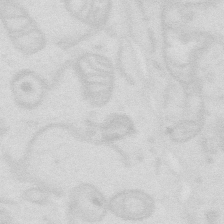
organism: Human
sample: HeLa cells